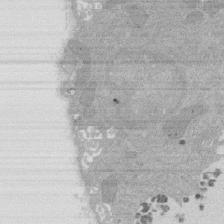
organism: Rat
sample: Salivary granule